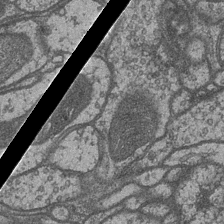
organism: Drosophila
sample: Optic medulla